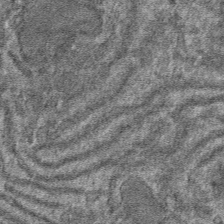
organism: Mouse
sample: Mouse hepatocytes